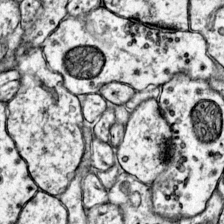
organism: Mouse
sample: Primary visual cortex